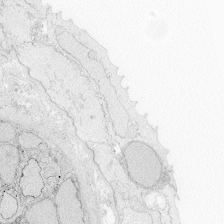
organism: Zebrafish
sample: Whole-Brain